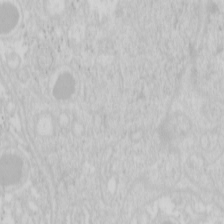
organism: Mouse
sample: Pancreas